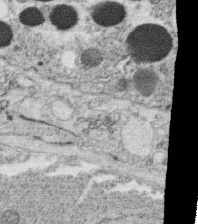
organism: C. elegans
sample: C. elegans oocyte; sperm cells